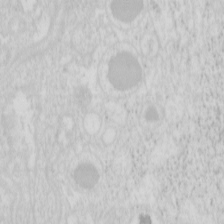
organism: Mouse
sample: Pancreas